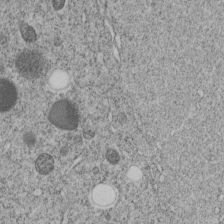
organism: C. elegans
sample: C. elegans embryo early stage